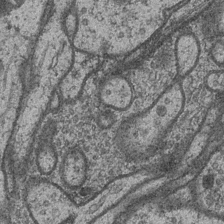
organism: Drosophila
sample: Optic medulla